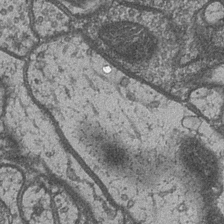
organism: Drosophila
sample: Optic medulla